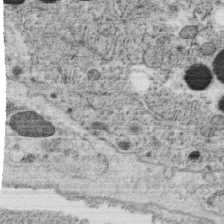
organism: C. elegans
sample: C. elegans oocyte; sperm cells